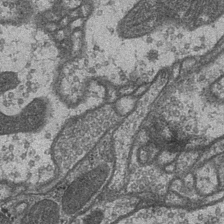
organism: Drosophila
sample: Optic medulla